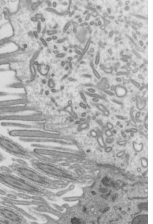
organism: Mouse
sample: Mouse epididymis efferent ductule cilia